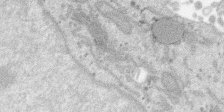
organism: Human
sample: Lung epithelial cells infected with SARS-CoV-2